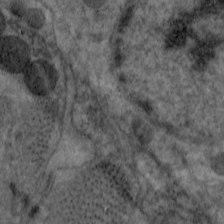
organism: C. elegans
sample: Pharynx